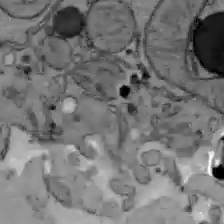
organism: C57BL Mouse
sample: Liver